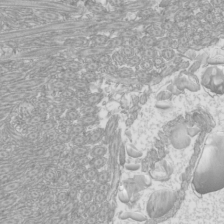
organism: Mouse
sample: Cilia; mouse epididymis